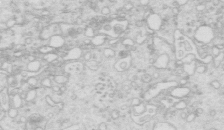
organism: Mouse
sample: Multiciliated cells